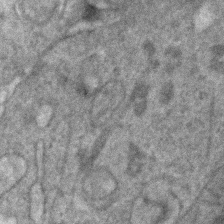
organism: Human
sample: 1205lu cells